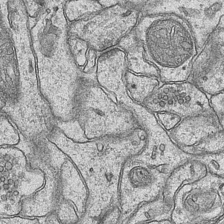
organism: Mouse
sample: CA1 Hippocampus